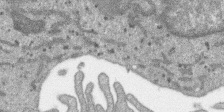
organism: Human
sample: Lung epithelial cells infected with SARS-CoV-2